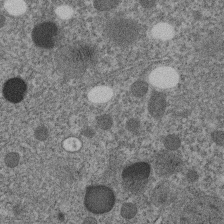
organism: C. elegans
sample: C. elegans embryo early stage